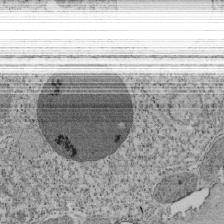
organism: Tetrahymena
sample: Cilia in tetrahymena